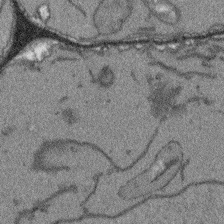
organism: Arabidopsis thaliana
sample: Root tip